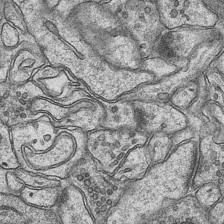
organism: Mouse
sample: CA1 Hippocampus